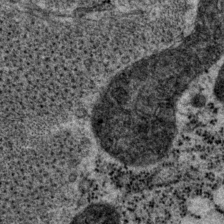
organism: P. pacificus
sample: Pharynx